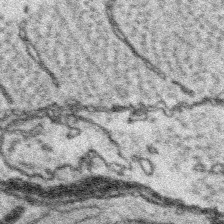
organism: Platynereis dumerilii